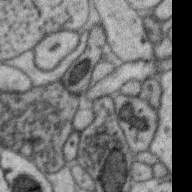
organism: Zebra finch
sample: Brain